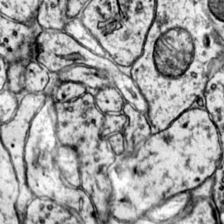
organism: Mouse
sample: Primary visual cortex